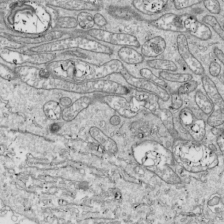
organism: Drosophila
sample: Cell division; meiosis; drosophila spermatocytes